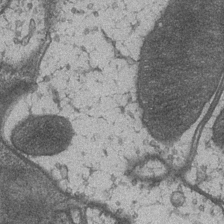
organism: Drosophila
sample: Optic medulla